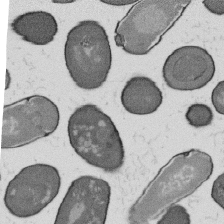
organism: B. subtilis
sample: Bacterial spore